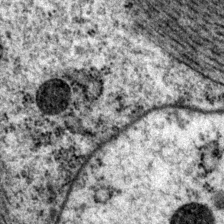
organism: P. pacificus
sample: Pharynx